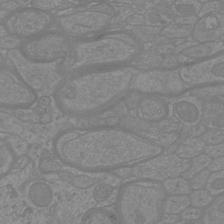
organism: Mouse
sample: Cortical neurons